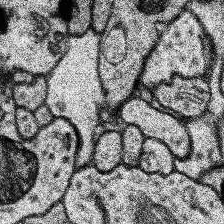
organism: Human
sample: Temporal Lobe